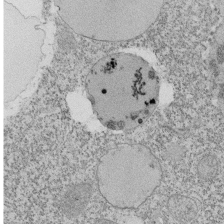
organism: Tetrahymena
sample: Cilia in tetrahymena